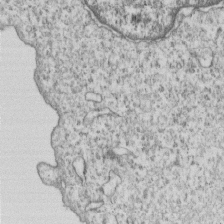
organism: Human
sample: MDA-MB-231 cells